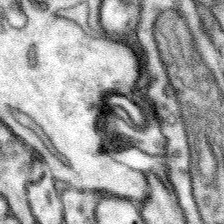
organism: Mouse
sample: Somatosensory cortex neuropil